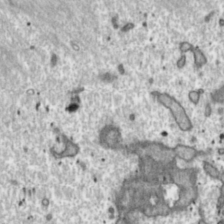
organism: Toxoplasma gondii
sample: Parasites in a vacuole inside a host cell